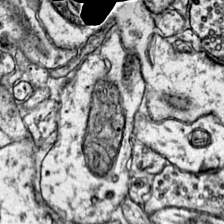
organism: Mouse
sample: Primary visual cortex